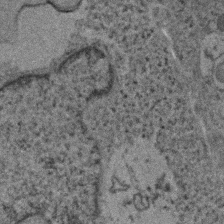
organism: Human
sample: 1205lu cells